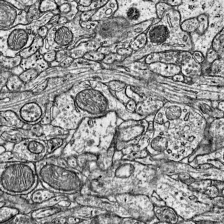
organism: Mouse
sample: Visual Cortex